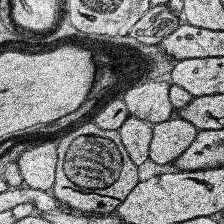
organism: Human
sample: Temporal Lobe